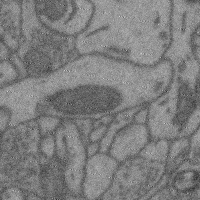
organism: Mouse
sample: Cerebral cortex